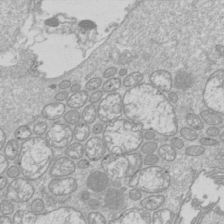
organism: Drosophila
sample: Cell division; meiosis; drosophila spermatocytes